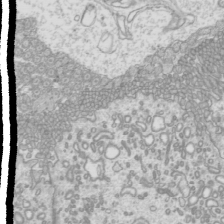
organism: Mouse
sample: Cilia; mouse epididymis